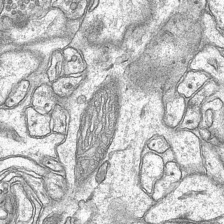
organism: Mouse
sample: CA1 Hippocampus